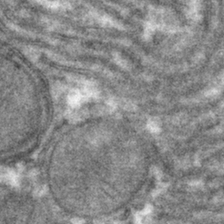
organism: Mouse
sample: Mouse hepatocytes